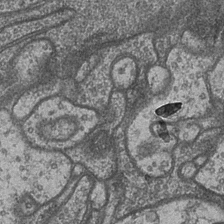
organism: Drosophila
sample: Optic medulla